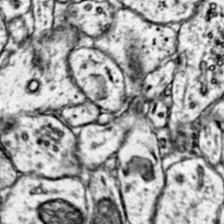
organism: Mouse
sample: Primary visual cortex